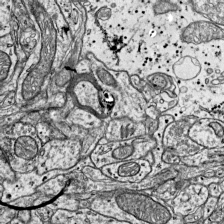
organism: Mouse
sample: Visual Cortex